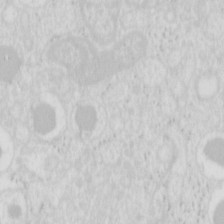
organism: Mouse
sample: Pancreas